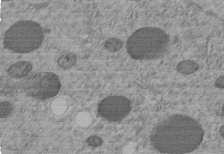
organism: C. elegans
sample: C. elegans embryo early stage